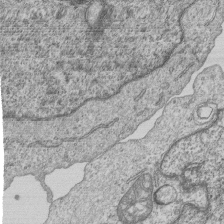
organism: Human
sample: MDA-MB-231 cells